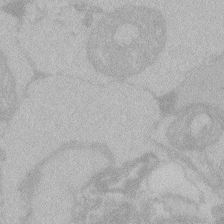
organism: Zebrafish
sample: Macrophage infected with Toxoplasma gondii